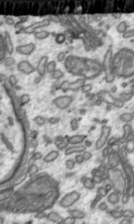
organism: Toxoplasma gondii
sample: Parasites in a vacuole inside a host cell